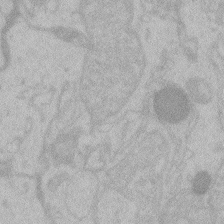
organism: Zebrafish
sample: Macrophage infected with Toxoplasma gondii